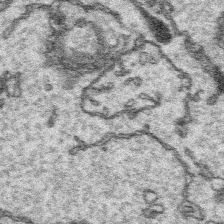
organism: Platynereis dumerilii